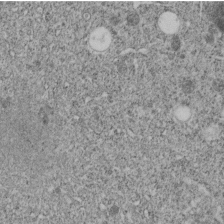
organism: C. elegans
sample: C. elegans embryo early stage